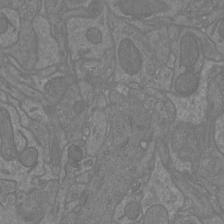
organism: Mouse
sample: Cortical neurons